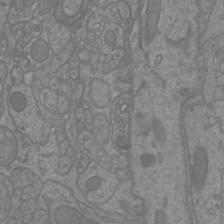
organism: Mouse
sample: Cortical neurons